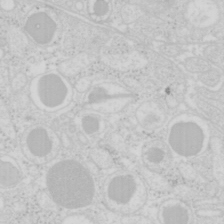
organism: Mouse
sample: Pancreas